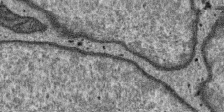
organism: Human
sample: Lung epithelial cells, uninfected (mock) control